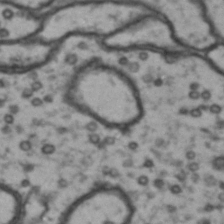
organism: Drosophila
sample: Brain